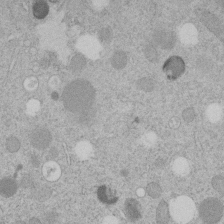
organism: C. elegans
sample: C. elegans embryo early stage